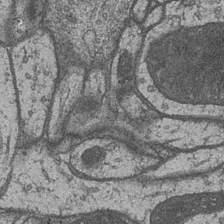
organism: Drosophila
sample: Optic medulla